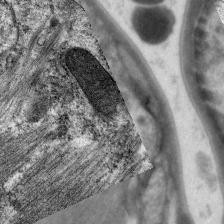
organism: C. elegans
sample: Pharynx